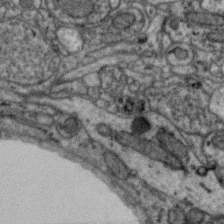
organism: Zebra finch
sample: Brain